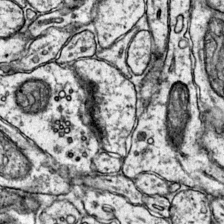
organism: Mouse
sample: Primary visual cortex